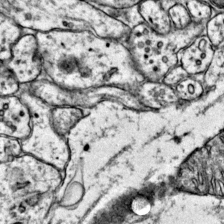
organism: Mouse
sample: Primary visual cortex